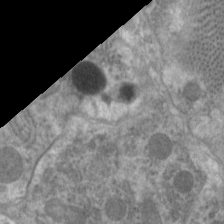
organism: C. elegans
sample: Pharynx